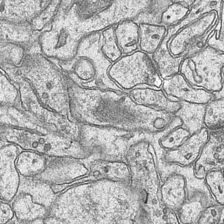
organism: Mouse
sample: CA1 Hippocampus